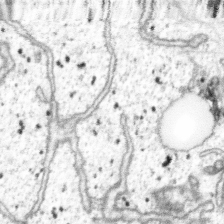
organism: Human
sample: HeLa cells